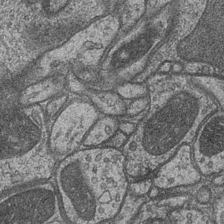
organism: Drosophila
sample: Optic medulla